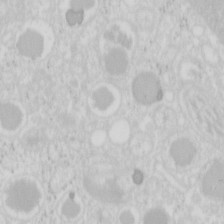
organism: Mouse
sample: Pancreas